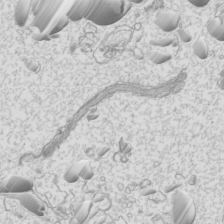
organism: Mouse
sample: Cilia; mouse epididymis